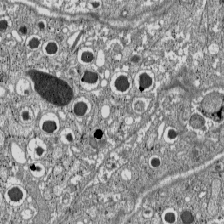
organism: C57BL Mouse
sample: Pancreatic islet